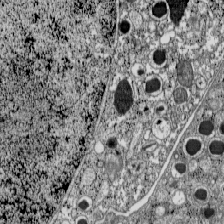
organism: C57BL Mouse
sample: Pancreatic islet